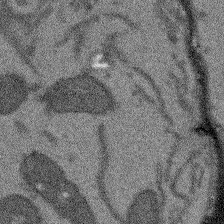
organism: Arabidopsis thaliana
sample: Root tip